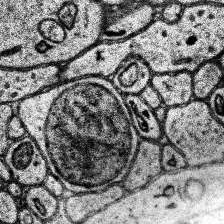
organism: Human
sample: Temporal Lobe